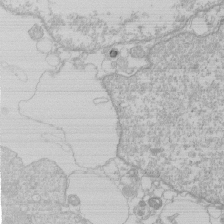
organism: Human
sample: Macrophage cells